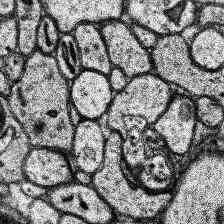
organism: Human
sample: Temporal Lobe